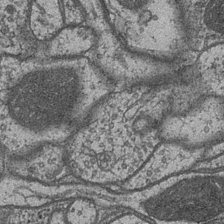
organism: Drosophila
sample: Optic medulla